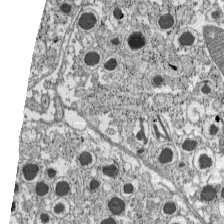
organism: C57BL Mouse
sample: Pancreatic islet